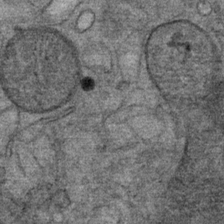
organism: Mouse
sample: Mouse Salivary gland